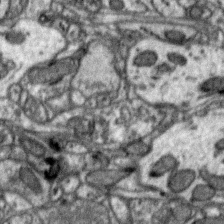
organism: Zebra finch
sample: Brain